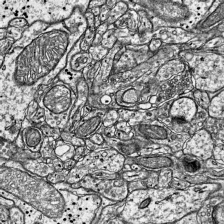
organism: Mouse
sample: Visual Cortex